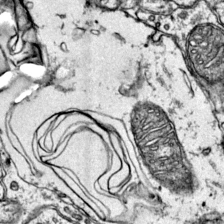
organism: Mouse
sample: Primary visual cortex